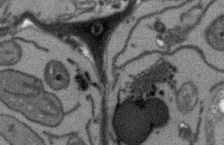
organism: Arabidopsis thaliana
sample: Root tip